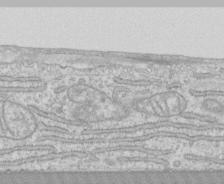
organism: Human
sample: CRL-1474